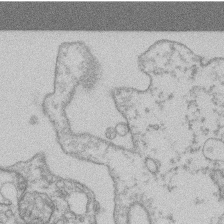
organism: Mouse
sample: T cell stromal cell synapse